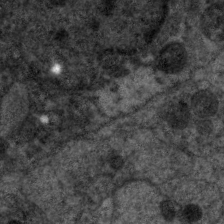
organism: C. elegans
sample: Pharynx